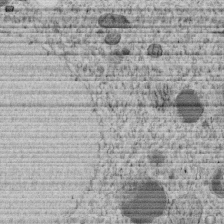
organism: C. elegans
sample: C. elegans embryo early stage